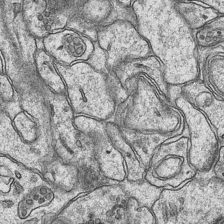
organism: Mouse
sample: CA1 Hippocampus